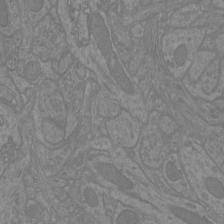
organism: Mouse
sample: Cortical neurons